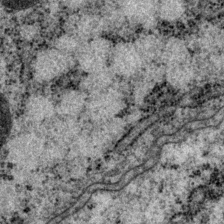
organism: P. pacificus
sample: Pharynx